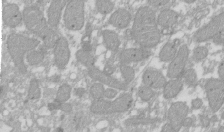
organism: Xenopus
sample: Cilia; centrioles in frog embryo cells